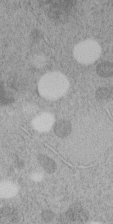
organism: C. elegans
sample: C. elegans embryo early stage